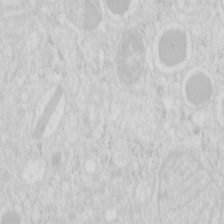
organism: Mouse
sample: Pancreas